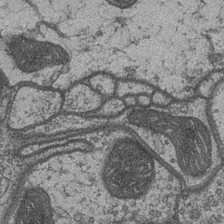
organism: Drosophila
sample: Optic medulla